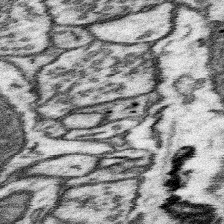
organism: Mouse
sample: Somatosensory cortex neuropil